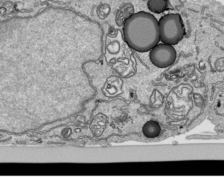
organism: Human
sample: Mitochondria in HCT116 cells